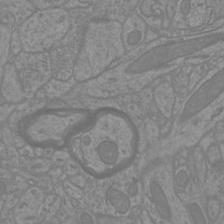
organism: Mouse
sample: Cortical neurons